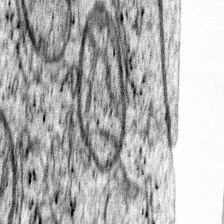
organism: Human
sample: HeLa cells